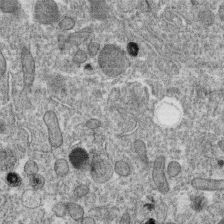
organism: C. elegans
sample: C. elegans oocyte; sperm cells